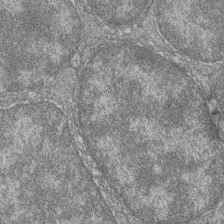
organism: Zebrafish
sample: Cilia; retinal pigment epithelium